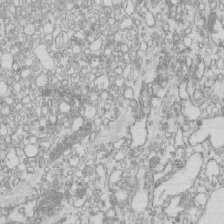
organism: Mouse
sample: Macrophages